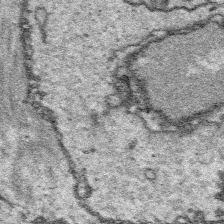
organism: Platynereis dumerilii